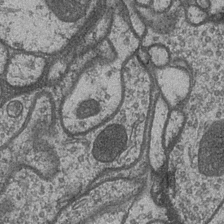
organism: Drosophila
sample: Optic medulla